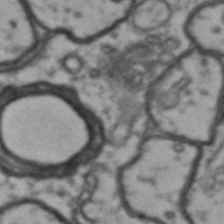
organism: Drosophila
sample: Brain